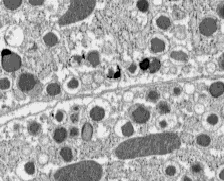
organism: C57BL Mouse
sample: Pancreatic islet